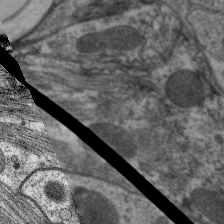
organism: C. elegans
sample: Pharynx